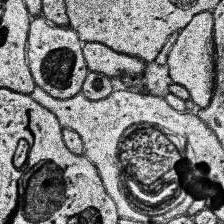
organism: Human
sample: Temporal Lobe